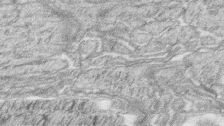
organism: Zebrafish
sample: synaptic ribbons in rod cells and cone cells